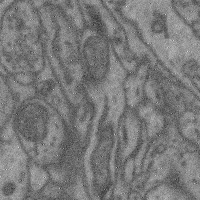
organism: Mouse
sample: Cerebral cortex